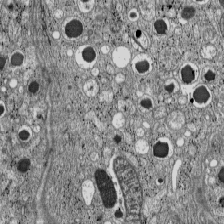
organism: C57BL Mouse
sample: Pancreatic islet